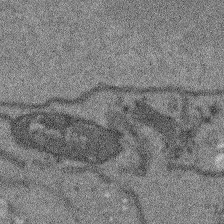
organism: Arabidopsis thaliana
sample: Root tip